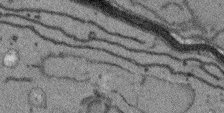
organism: Arabidopsis thaliana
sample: Root tip